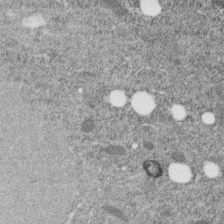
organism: C. elegans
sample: C. elegans embryo early stage